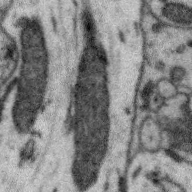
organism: Zebra finch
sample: Brain